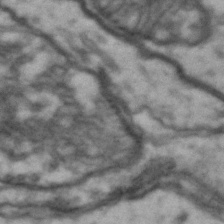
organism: Drosophila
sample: Brain